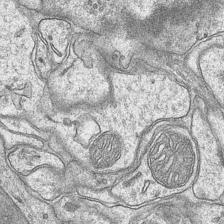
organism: Mouse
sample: CA1 Hippocampus